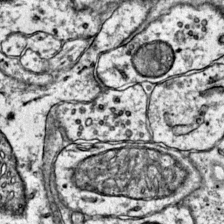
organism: Mouse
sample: Primary visual cortex